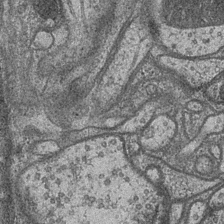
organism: Drosophila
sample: Optic medulla